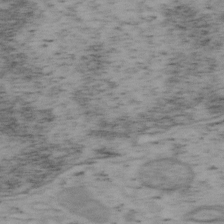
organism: Mouse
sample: OT-I killer T cells with ID8 ovarian cancer cells